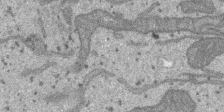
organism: Human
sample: Lung epithelial cells infected with SARS-CoV-2